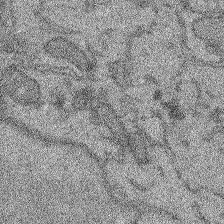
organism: Human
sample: HeLa cells